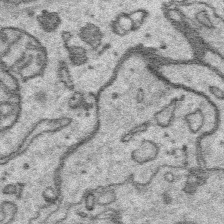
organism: Platynereis dumerilii